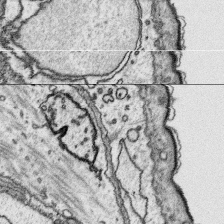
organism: Platynereis dumerilii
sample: Parapodia